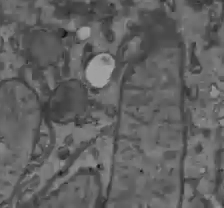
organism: C57BL Mouse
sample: Liver